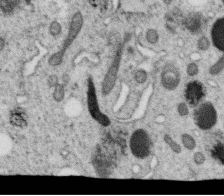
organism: C. elegans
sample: C. elegans oocyte; sperm cells